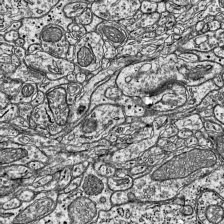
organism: Mouse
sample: Visual Cortex